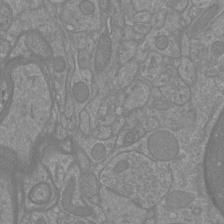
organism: Mouse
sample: Cortical neurons